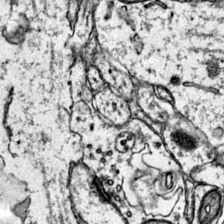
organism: Mouse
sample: Primary visual cortex